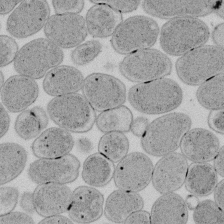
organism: E. coli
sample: Bacterial nucleoid